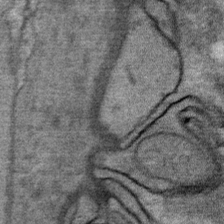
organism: Mouse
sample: Mouse Salivary gland